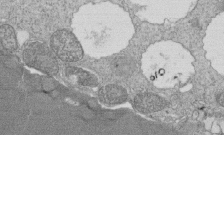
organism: Tetrahymena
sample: Cilia in tetrahymena